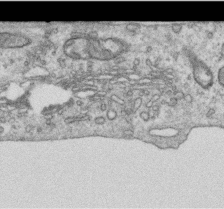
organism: Human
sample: Centriole in RPE cells